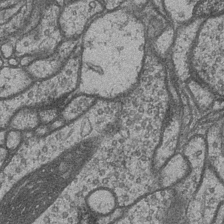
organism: Drosophila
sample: Optic medulla